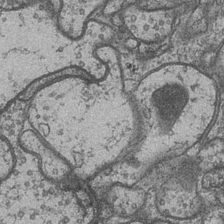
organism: Drosophila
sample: Optic medulla